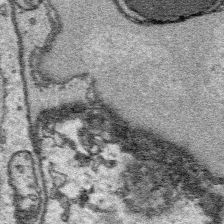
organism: Platynereis dumerilii